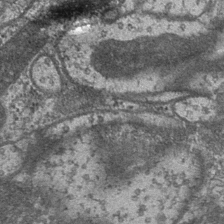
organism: Drosophila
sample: Optic medulla